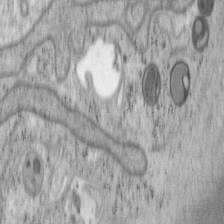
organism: Human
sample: HeLa cells